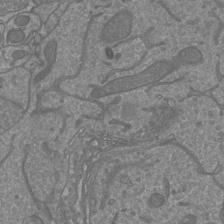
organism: Mouse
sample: Cortical neurons